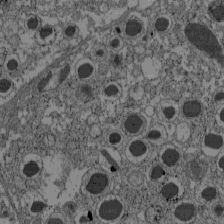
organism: C57BL Mouse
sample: Pancreatic islet